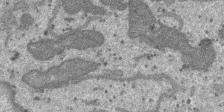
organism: Human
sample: Lung epithelial cells infected with SARS-CoV-2